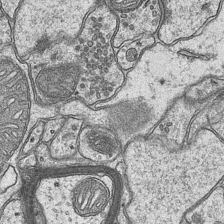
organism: Mouse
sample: CA1 Hippocampus